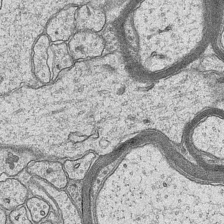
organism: Mouse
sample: CA1 Hippocampus